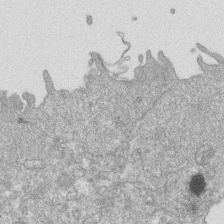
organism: Human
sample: HeLa cell HIV synapse